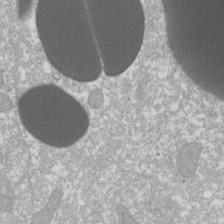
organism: Xenopus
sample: Cilia; centrioles in frog embryo cells